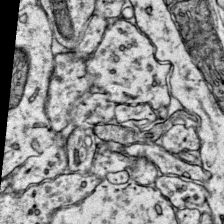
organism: Mouse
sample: Primary visual cortex